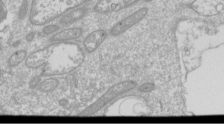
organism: Drosophila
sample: Cell division; meiosis; drosophila spermatocytes